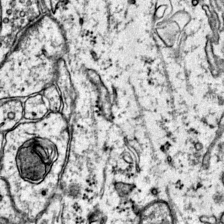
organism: Mouse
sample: Primary visual cortex